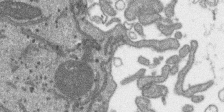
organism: Human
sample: Lung epithelial cells infected with SARS-CoV-2